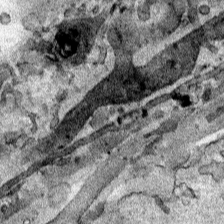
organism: Human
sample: Mitochondria in HCT116 cells